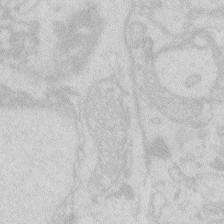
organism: Zebrafish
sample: Macrophage